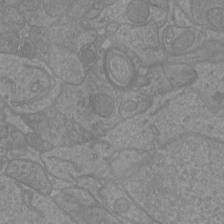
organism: Mouse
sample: Cortical neurons